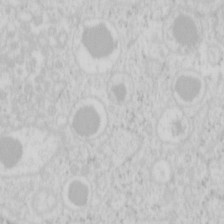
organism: Mouse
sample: Pancreas